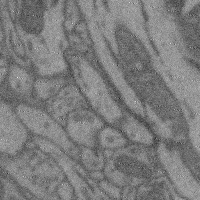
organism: Mouse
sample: Cerebral cortex